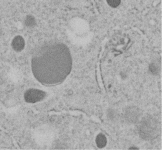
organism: C. elegans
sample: C. elegans embryo early stage